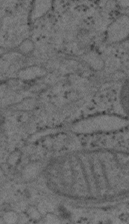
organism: Human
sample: HeLa cells